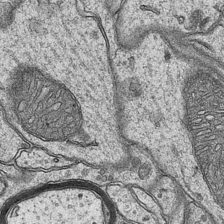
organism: Mouse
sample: CA1 Hippocampus